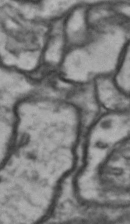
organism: Drosophila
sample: Brain